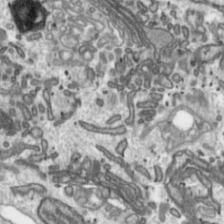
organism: Toxoplasma gondii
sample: Parasites in a vacuole inside a host cell